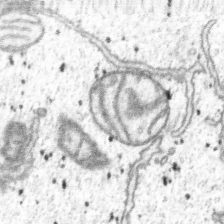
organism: Human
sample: HeLa cells